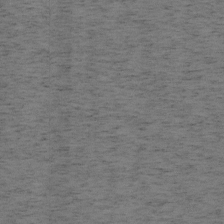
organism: Mouse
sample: OT-I killer T cells with ID8 ovarian cancer cells